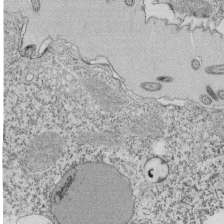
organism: Tetrahymena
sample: Cilia in tetrahymena